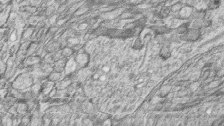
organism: Zebrafish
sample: synaptic ribbons in rod cells and cone cells